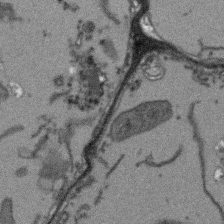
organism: Arabidopsis thaliana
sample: Root tip